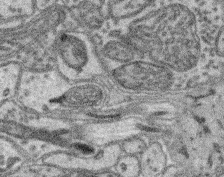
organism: Mouse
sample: Retina